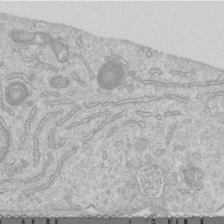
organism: Human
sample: Centriole in RPE cells